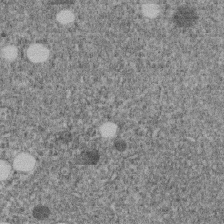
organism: C. elegans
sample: C. elegans embryo early stage